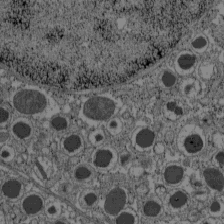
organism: C57BL Mouse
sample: Pancreatic islet